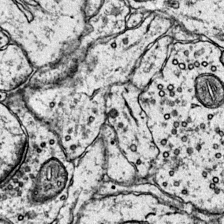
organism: Mouse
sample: Primary visual cortex